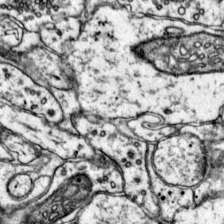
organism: Mouse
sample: Primary visual cortex